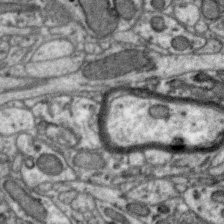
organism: Zebra finch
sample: Brain